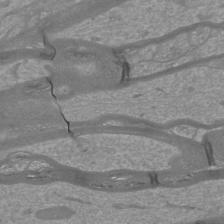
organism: Mouse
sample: Cortical neurons